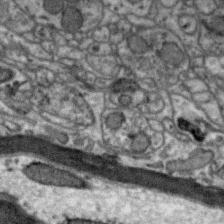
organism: Zebra finch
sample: Brain